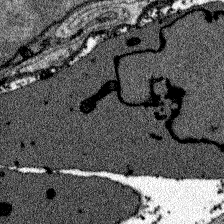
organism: Zebrafish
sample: Larval olfactory bulb